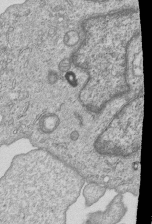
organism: Human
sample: MDA-MB-231 cells